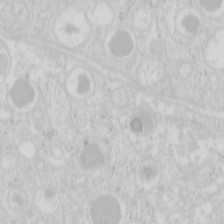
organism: Mouse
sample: Pancreas